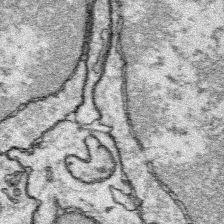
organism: Platynereis dumerilii